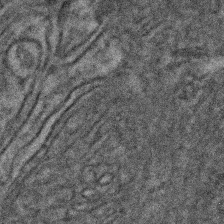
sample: Kidney